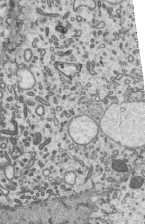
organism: Mouse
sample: Mouse epididymis efferent ductule cilia